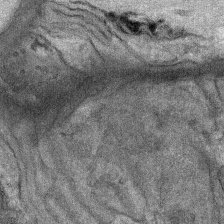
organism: Mouse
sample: Mouse Salivary gland